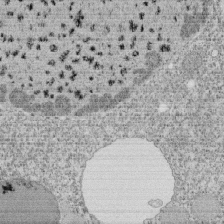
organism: Tetrahymena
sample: Cilia in tetrahymena